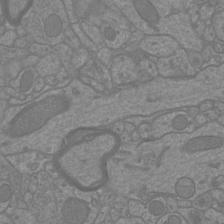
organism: Mouse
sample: Cortical neurons